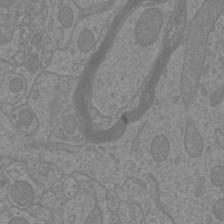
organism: Mouse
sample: Cortical neurons